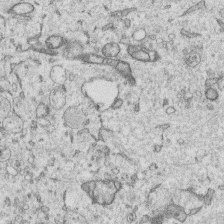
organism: Human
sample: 1205lu cells